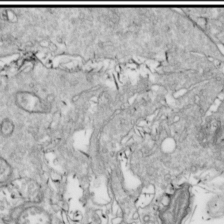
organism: Drosophila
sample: Cell division; meiosis; drosophila spermatocytes